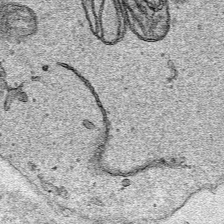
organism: Human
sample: Mitochondria in HCT116 cells